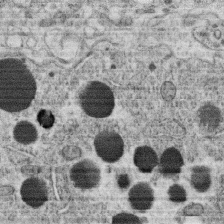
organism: C. elegans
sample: C. elegans oocyte; sperm cells